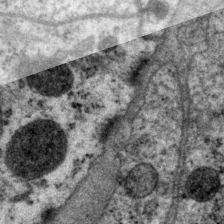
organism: P. pacificus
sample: Pharynx